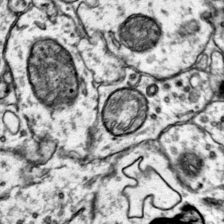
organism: Mouse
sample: Primary visual cortex